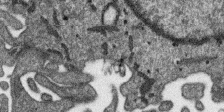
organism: Human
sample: Lung epithelial cells infected with SARS-CoV-2